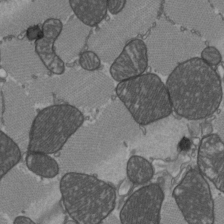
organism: C57BL Mouse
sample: Heart